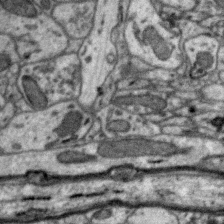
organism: Zebra finch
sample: Brain